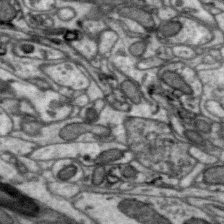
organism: Zebra finch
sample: Brain